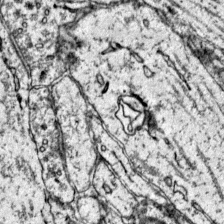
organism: Mouse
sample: Primary visual cortex